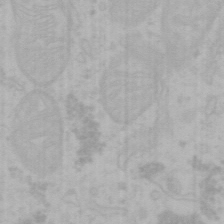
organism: Mouse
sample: Choroid plexus